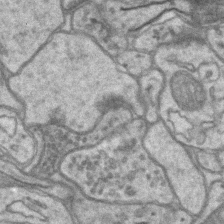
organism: Mouse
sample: CA1 Hippocampus